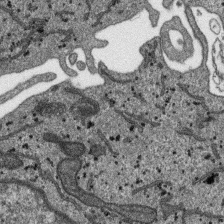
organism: Human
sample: Lung epithelial cells infected with SARS-CoV-2